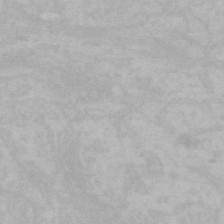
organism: Mouse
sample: Choroid plexus